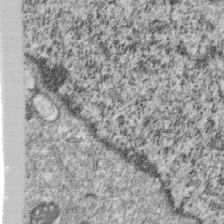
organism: African green monkey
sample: Vero E6 cells infected with SARS-CoV-2